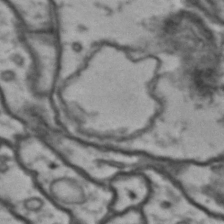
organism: Drosophila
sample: Brain